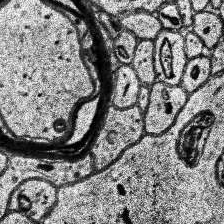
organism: Human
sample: Temporal Lobe